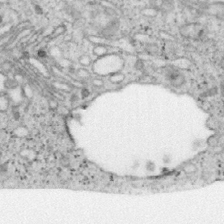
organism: Mouse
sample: OT-I killer T cells with ID8 ovarian cancer cells